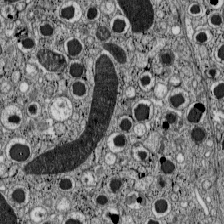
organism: C57BL Mouse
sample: Pancreatic islet